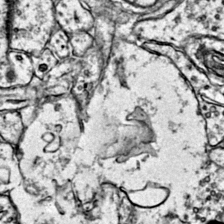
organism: Mouse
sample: Primary visual cortex